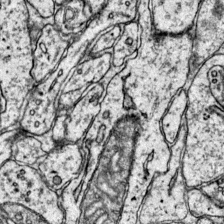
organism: Mouse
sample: Primary visual cortex